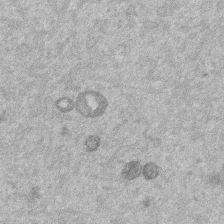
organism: Mouse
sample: Dividing mouse embryo 1 cell stage